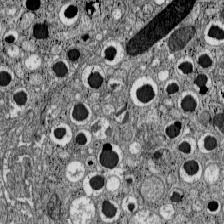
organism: C57BL Mouse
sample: Pancreatic islet